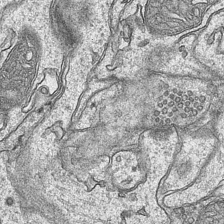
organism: Mouse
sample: CA1 Hippocampus